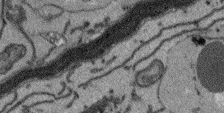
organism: Arabidopsis thaliana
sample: Root tip